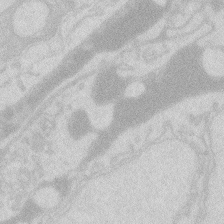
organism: Zebrafish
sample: Macrophage